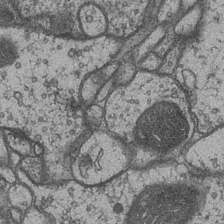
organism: Drosophila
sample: Optic medulla